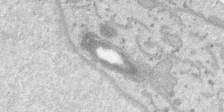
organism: Human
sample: Lung epithelial cells infected with SARS-CoV-2